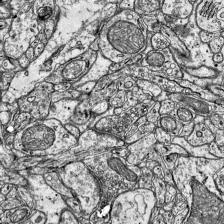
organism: Mouse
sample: Visual Cortex